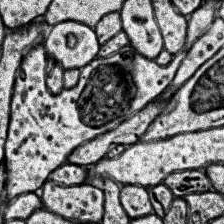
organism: Human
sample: Temporal Lobe